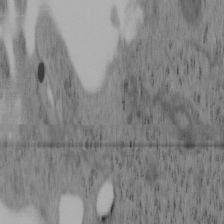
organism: Human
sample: HeLa cells